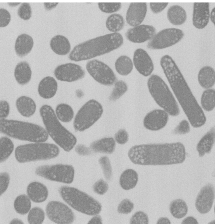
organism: E. coli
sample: Bacterial nucleoid